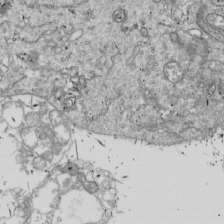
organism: Drosophila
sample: Cell division; meiosis; drosophila spermatocytes